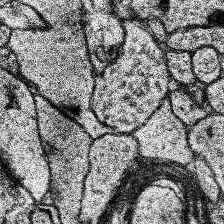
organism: Human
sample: Temporal Lobe